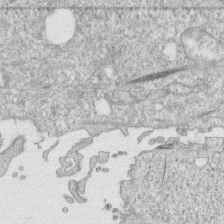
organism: Human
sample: HeLa cell HIV synapse